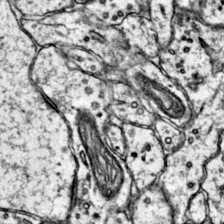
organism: Mouse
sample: Primary visual cortex